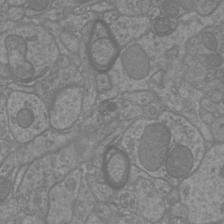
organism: Mouse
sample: Cortical neurons